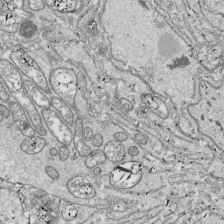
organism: Drosophila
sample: Cell division; meiosis; drosophila spermatocytes